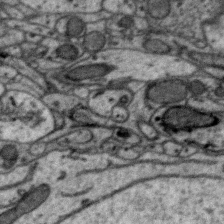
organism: Zebra finch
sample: Brain